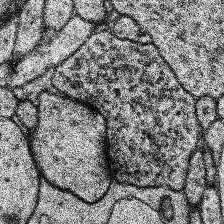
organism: Human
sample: Temporal Lobe